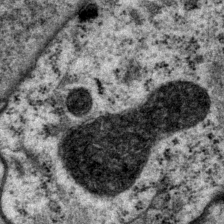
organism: P. pacificus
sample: Pharynx